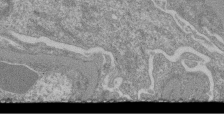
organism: Mouse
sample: Glomerulus